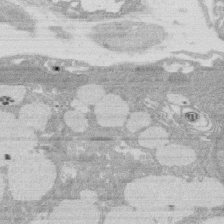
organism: Rat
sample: Salivary granule